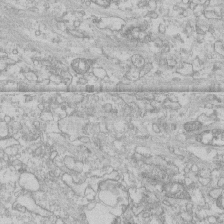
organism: Human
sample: CRL-1474